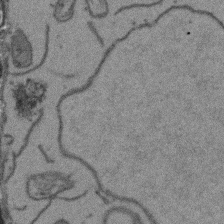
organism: Arabidopsis thaliana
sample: Root tip